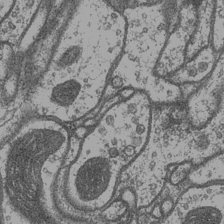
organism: Drosophila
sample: Optic medulla